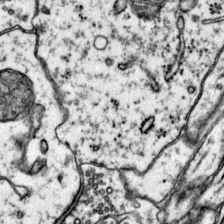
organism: Mouse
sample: Primary visual cortex